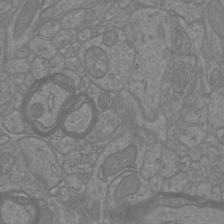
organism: Mouse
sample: Cortical neurons